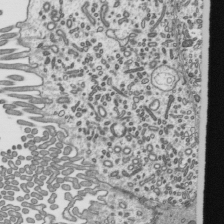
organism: Mouse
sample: Mouse epididymis efferent ductule cilia